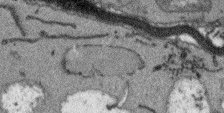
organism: Arabidopsis thaliana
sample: Root tip